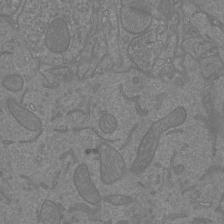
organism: Mouse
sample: Cortical neurons